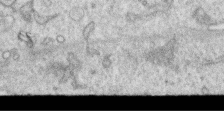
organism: Human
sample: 1205lu cells